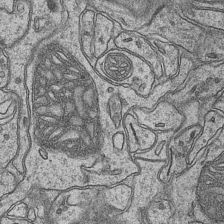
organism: Mouse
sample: CA1 Hippocampus